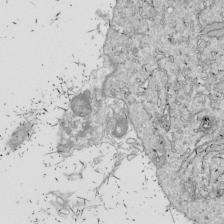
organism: Drosophila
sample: Cell division; meiosis; drosophila spermatocytes